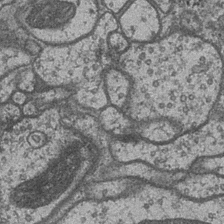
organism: Drosophila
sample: Optic medulla